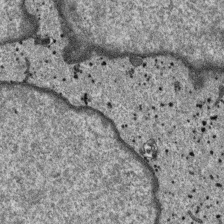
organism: Human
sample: Lung epithelial cells, uninfected (mock) control